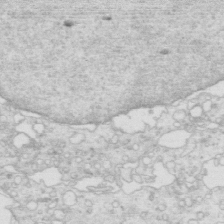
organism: Mouse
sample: Multiciliated cells